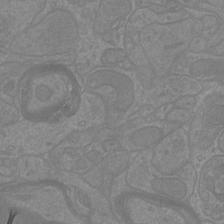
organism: Mouse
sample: Cortical neurons